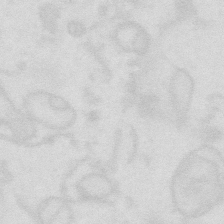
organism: Human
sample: HeLa cells